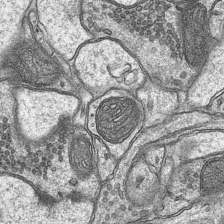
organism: Mouse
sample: CA1 Hippocampus